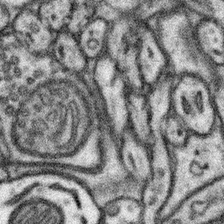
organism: Mouse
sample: Somatosensory cortex neuropil